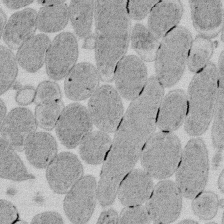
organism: E. coli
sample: Bacterial nucleoid